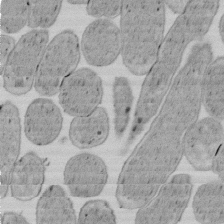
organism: E. coli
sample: Bacterial nucleoid